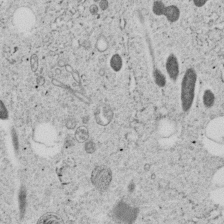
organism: C. elegans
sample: C. elegans embryo early stage